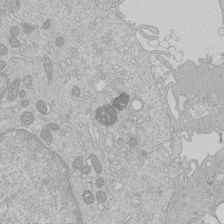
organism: Human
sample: Macrophage cells